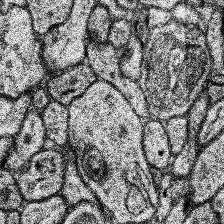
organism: Human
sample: Temporal Lobe